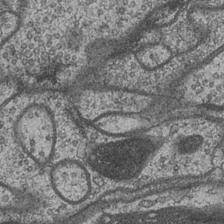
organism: Drosophila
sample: Optic medulla